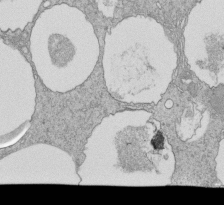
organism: Tetrahymena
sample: Cilia in tetrahymena